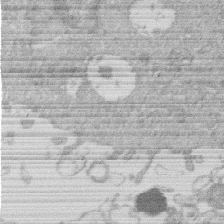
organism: Human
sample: Macrophage cells